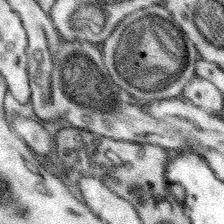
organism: Mouse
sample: Somatosensory cortex neuropil